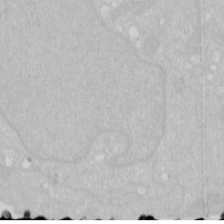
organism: Human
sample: HIV infected U937 cells